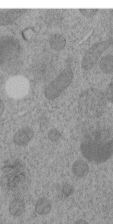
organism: C. elegans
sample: C. elegans embryo early stage